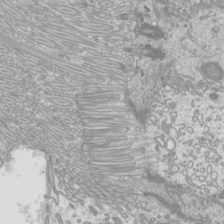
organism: Mouse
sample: Cilia; mouse epididymis